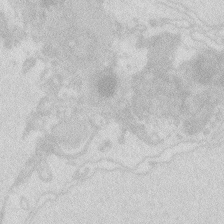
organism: Zebrafish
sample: Macrophage